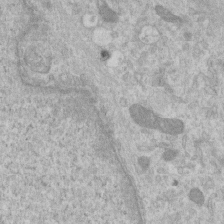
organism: Human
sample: Centriole in RPE cells